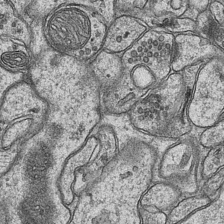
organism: Mouse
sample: CA1 Hippocampus